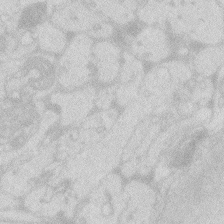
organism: Zebrafish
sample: Macrophage